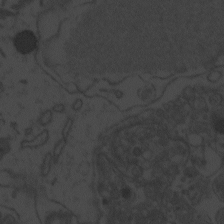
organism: Zebrafish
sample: Macrophage infected with Toxoplasma gondii